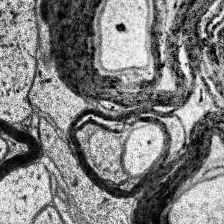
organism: Human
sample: Temporal Lobe